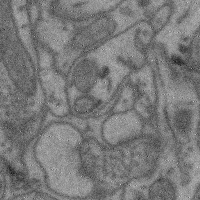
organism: Mouse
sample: Cerebral cortex